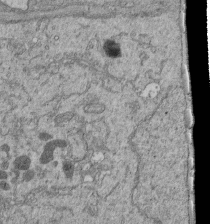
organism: Human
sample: Retinal organoid Rod and Cone cells